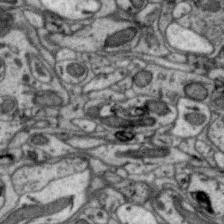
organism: Zebra finch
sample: Brain